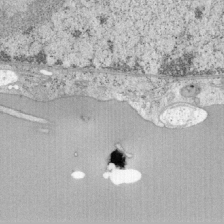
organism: Human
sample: HeLa cells